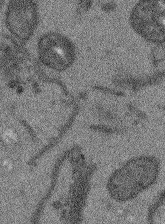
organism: Arabidopsis thaliana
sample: Root tip